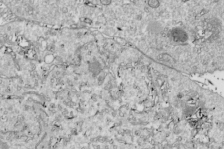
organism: Drosophila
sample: Cell division; meiosis; drosophila spermatocytes